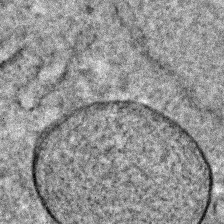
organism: C. elegans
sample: C. elegans embryo